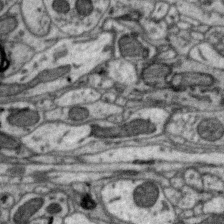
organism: Zebra finch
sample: Brain